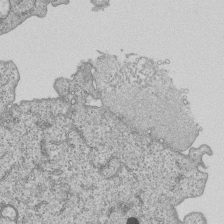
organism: Human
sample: MDA-MB-231 cells